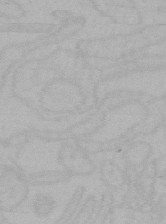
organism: Mouse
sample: Choroid plexus